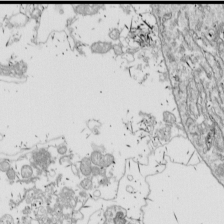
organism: Drosophila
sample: Cell division; meiosis; drosophila spermatocytes